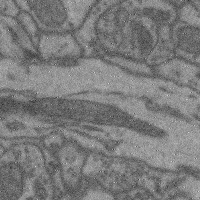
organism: Mouse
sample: Cerebral cortex